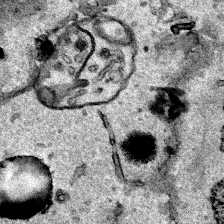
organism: Human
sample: Mitochondria in HCT116 cells